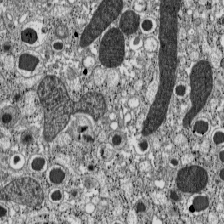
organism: C57BL Mouse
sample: Pancreatic islet